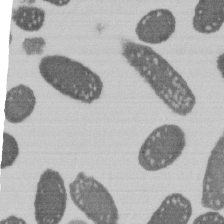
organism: E. coli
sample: Bacterial nucleoid